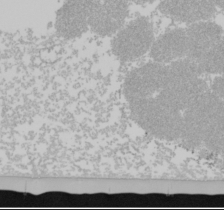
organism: Mouse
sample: Cancer cell death in ED-1 cells